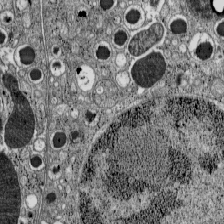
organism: C57BL Mouse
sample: Pancreatic islet